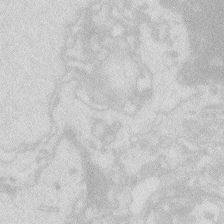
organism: Zebrafish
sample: Macrophage